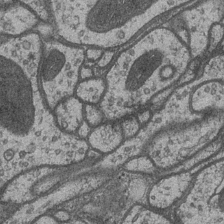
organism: Drosophila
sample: Optic medulla